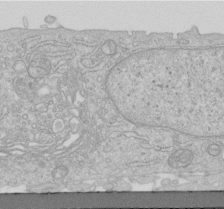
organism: Human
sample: Centriole in RPE cells